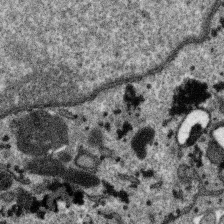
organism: Human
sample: Lung epithelial cells infected with SARS-CoV-2